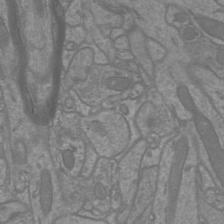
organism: Mouse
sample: Cortical neurons